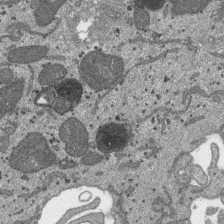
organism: Human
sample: Lung epithelial cells infected with SARS-CoV-2